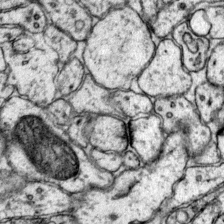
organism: Mouse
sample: Primary visual cortex